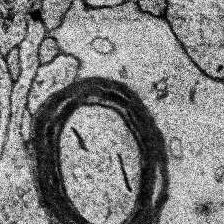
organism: Human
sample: Temporal Lobe